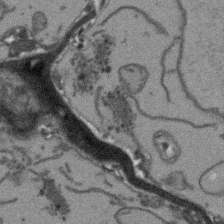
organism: Arabidopsis thaliana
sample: Root tip